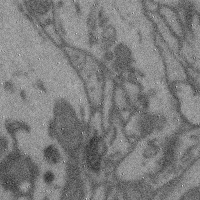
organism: Mouse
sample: Cerebral cortex